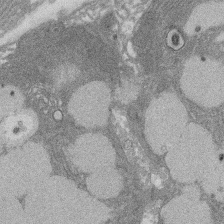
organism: Rat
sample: Salivary granule